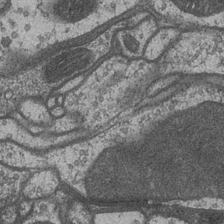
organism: Drosophila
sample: Optic medulla